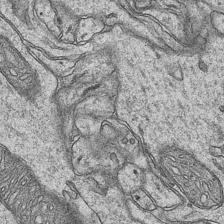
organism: Mouse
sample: CA1 Hippocampus